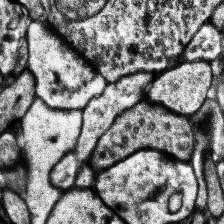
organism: Human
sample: Temporal Lobe